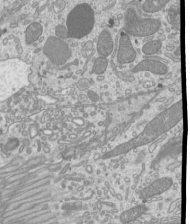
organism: Mouse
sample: Cilia; mouse epididymis